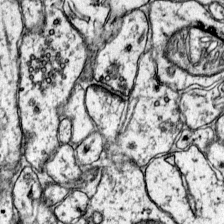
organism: Mouse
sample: Primary visual cortex